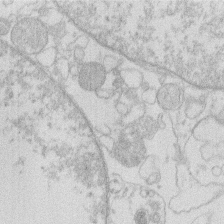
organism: Human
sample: Macrophage cells